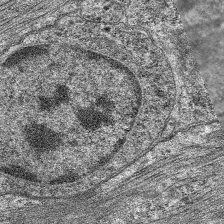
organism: C. elegans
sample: Pharynx